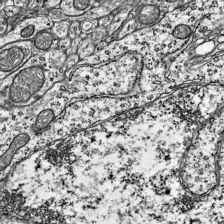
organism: Mouse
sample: Visual Cortex